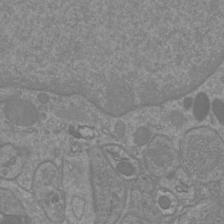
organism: Mouse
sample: Cortical neurons